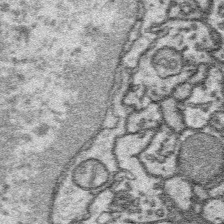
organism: Platynereis dumerilii